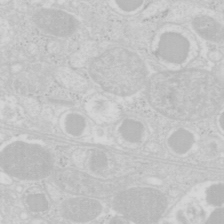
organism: Mouse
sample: Pancreas